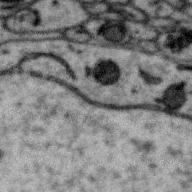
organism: Zebra finch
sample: Brain